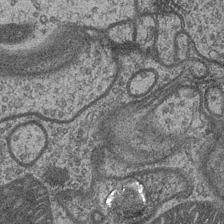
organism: Drosophila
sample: Optic medulla